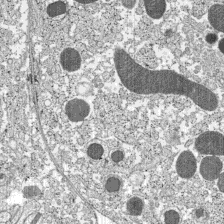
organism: C57BL Mouse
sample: Pancreatic islet